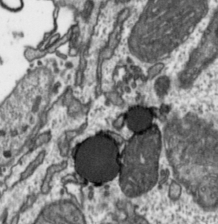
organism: Toxoplasma gondii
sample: Parasites in a vacuole inside a host cell